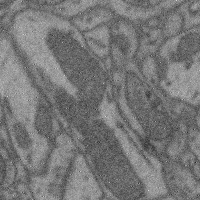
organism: Mouse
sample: Cerebral cortex